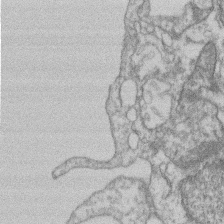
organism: Mouse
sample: T cell stromal cell synapse